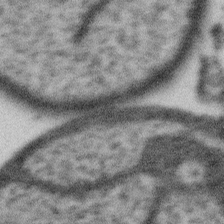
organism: Gemmata obscuriglobus